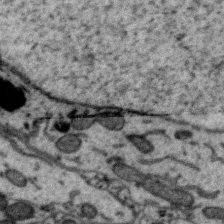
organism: Zebra finch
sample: Brain